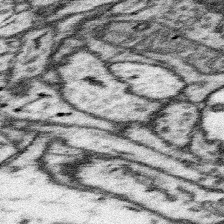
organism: Mouse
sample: Somatosensory cortex neuropil